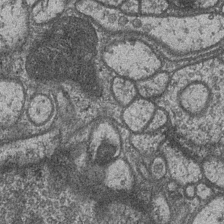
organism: Drosophila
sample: Optic medulla